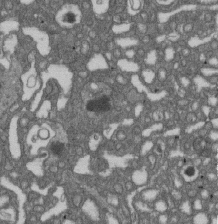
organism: Drosophila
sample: Nephrocyte